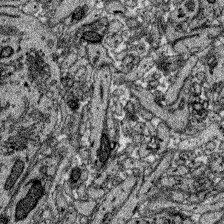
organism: Zebrafish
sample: Larval olfactory bulb